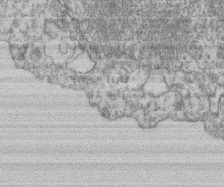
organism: Mouse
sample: T cell stromal cell synapse